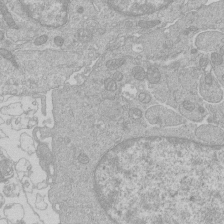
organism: Human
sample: Macrophage cells